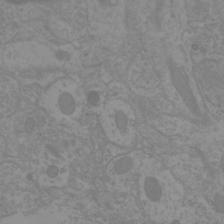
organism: Mouse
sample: Cortical neurons